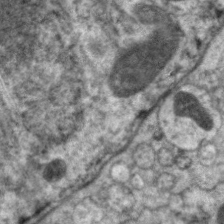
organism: C. elegans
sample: Pharynx